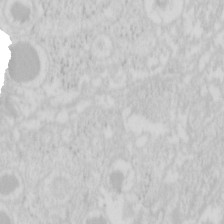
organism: Mouse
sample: Pancreas